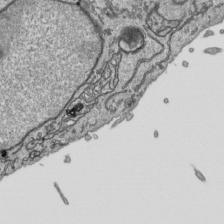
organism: Human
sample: Mitochondria in HCT116 cells